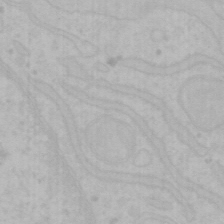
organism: Mouse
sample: Choroid plexus